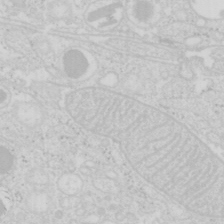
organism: Mouse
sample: Pancreas